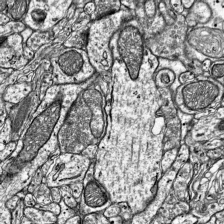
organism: Mouse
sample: Visual Cortex